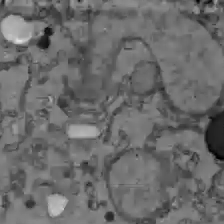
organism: C57BL Mouse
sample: Liver